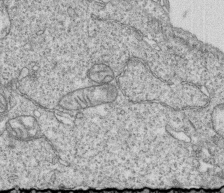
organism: Human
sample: HeLa cell HIV synapse